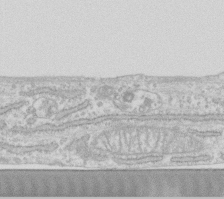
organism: Human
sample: Fibroblast cells